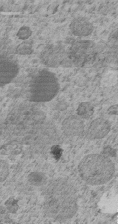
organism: C. elegans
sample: C. elegans embryo early stage